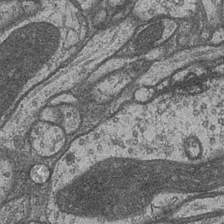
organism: Drosophila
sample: Optic medulla